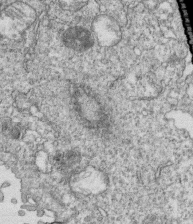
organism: Human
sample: HeLa cell HIV synapse